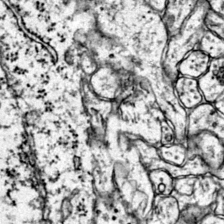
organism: Mouse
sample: Primary visual cortex